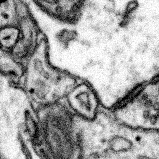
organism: Mouse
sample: Somatosensory cortex neuropil